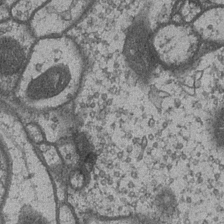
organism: Drosophila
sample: Optic medulla